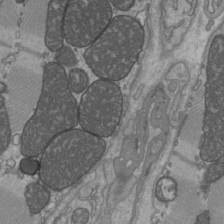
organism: C57BL Mouse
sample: Heart